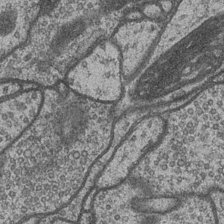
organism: Drosophila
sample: Optic medulla